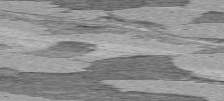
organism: C57BL Mouse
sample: Heart